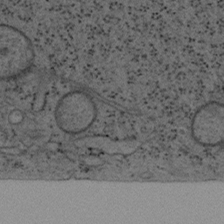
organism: Human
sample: HeLa cells